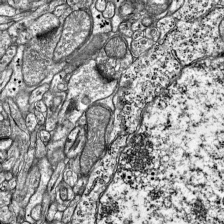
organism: Mouse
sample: Visual Cortex